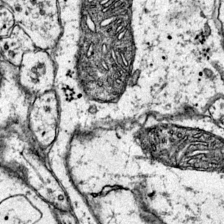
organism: Mouse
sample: Primary visual cortex